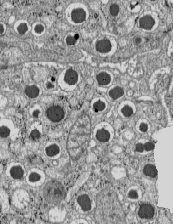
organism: C57BL Mouse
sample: Pancreatic islet